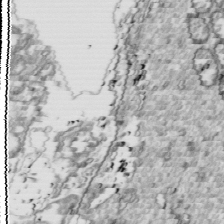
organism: Drosophila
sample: Cell division; meiosis; drosophila spermatocytes